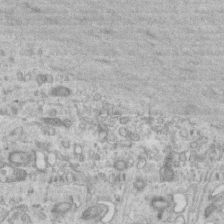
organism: Mouse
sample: Centriole in ependymal cells